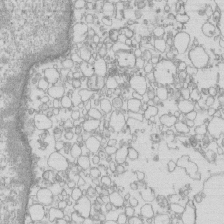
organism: Mouse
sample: Macrophages